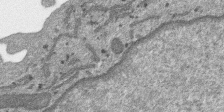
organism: Human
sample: Lung epithelial cells infected with SARS-CoV-2